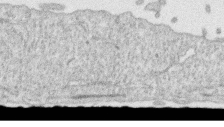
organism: Human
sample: HeLa cell HIV synapse